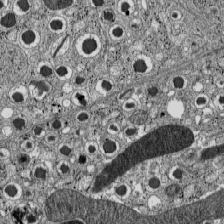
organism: C57BL Mouse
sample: Pancreatic islet